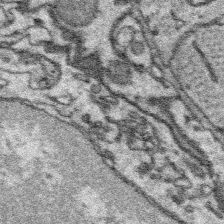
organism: Platynereis dumerilii